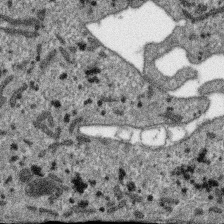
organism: Human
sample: Lung epithelial cells infected with SARS-CoV-2